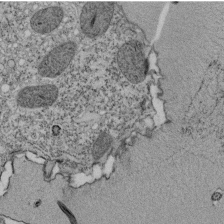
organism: Tetrahymena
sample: Cilia in tetrahymena